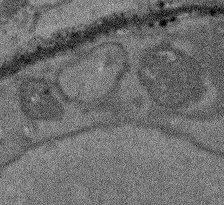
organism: Arabidopsis thaliana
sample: Root tip